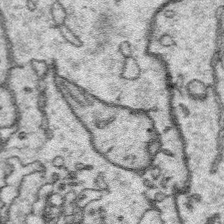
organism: Platynereis dumerilii